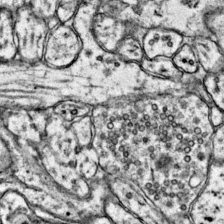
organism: Mouse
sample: Primary visual cortex